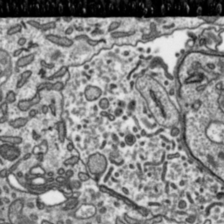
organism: Toxoplasma gondii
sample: Parasites in a vacuole inside a host cell